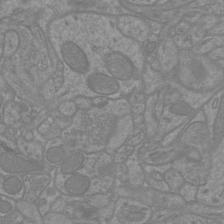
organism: Mouse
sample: Cortical neurons